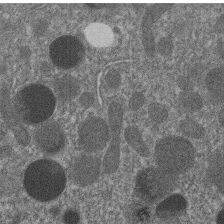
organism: C. elegans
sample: C. elegans embryo early stage